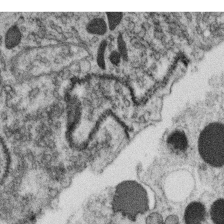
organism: C. elegans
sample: C. elegans oocyte; sperm cells